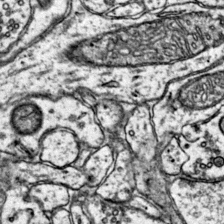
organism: Mouse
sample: Primary visual cortex